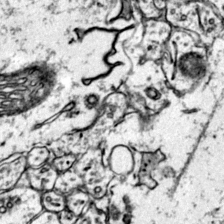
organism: Mouse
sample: Primary visual cortex